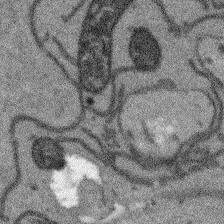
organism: Arabidopsis thaliana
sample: Root tip